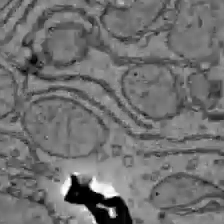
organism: C57BL Mouse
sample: Liver